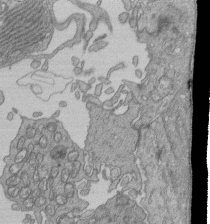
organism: Human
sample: Retinal organoid Rod and Cone cells